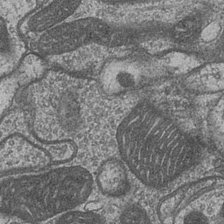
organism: Drosophila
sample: Optic medulla